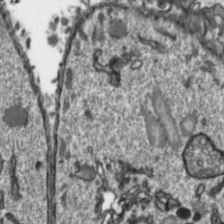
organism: Toxoplasma gondii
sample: Parasites in a vacuole inside a host cell